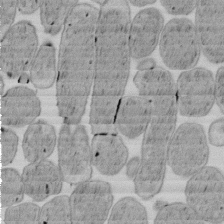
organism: E. coli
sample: Bacterial nucleoid